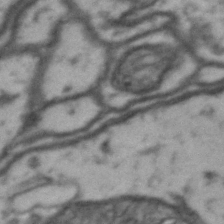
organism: Drosophila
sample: Brain